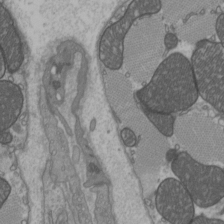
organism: C57BL Mouse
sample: Heart